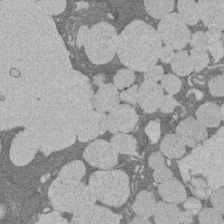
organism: Rat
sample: Salivary granule